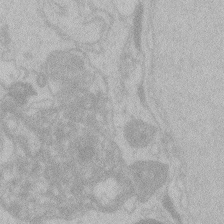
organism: Zebrafish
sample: Macrophage infected with Toxoplasma gondii